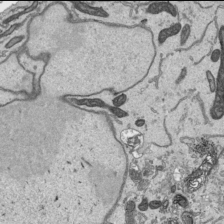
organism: Human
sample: Mitochondria in HCT116 cells